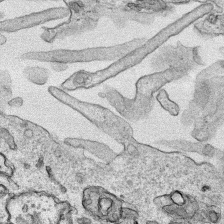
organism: Human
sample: Mitochondria in HCT116 cells